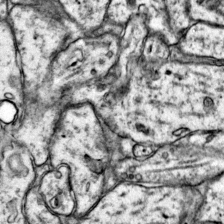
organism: Mouse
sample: Primary visual cortex